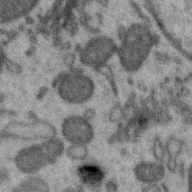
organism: Zebra finch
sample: Brain